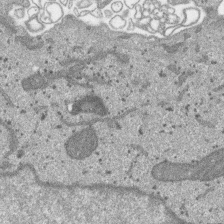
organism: Human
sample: Lung epithelial cells infected with SARS-CoV-2